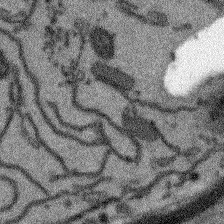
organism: Arabidopsis thaliana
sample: Root tip